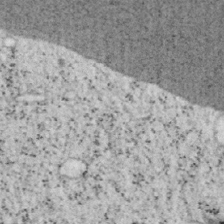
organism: Mouse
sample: OT-I killer T cells with ID8 ovarian cancer cells